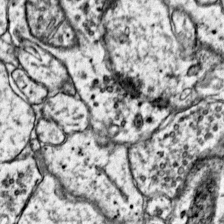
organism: Mouse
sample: Primary visual cortex